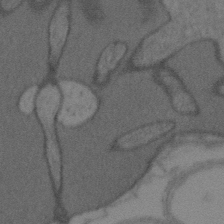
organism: Human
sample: HeLa cells